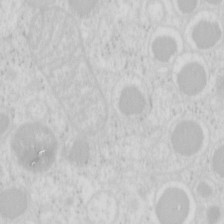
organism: Mouse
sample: Pancreas